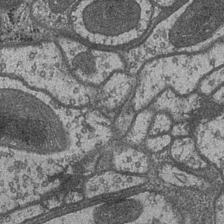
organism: Drosophila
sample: Optic medulla